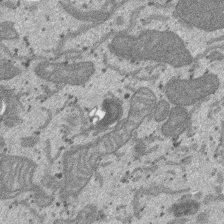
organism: Human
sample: Lung epithelial cells infected with SARS-CoV-2